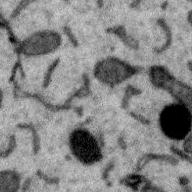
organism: Zebra finch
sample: Brain